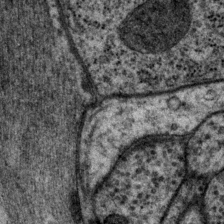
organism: P. pacificus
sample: Pharynx